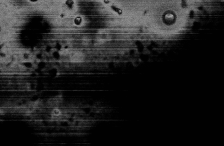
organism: Mouse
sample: Cilia; retinal pigment epithelium